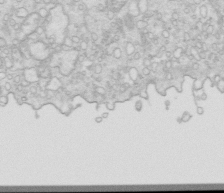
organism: Mouse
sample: Multiciliated cells